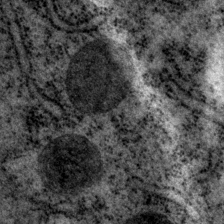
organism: P. pacificus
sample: Pharynx